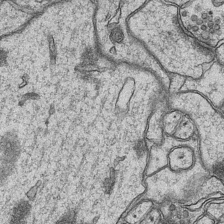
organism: Mouse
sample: CA1 Hippocampus